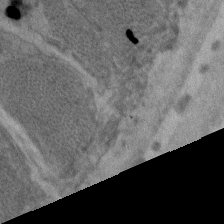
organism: C. elegans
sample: Pharynx